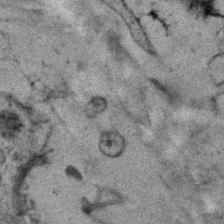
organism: Human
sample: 1205lu cells